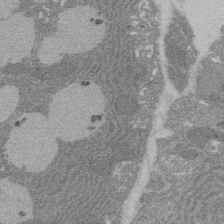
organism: Rat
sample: Salivary granule